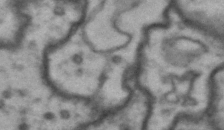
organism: Drosophila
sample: Brain